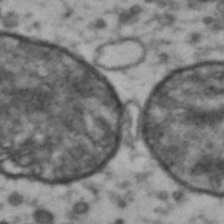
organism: Drosophila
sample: Brain